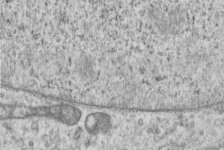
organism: Human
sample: Centriole in RPE cells